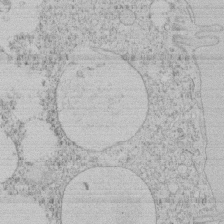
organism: Tetrahymena